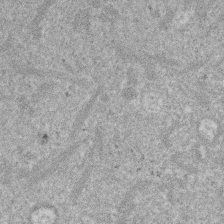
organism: Mouse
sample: Dividing mouse embryo 1 cell stage